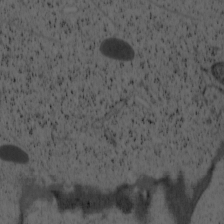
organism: African green monkey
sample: COS-7 cells